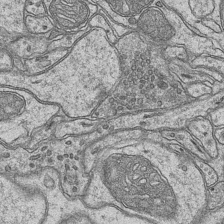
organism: Mouse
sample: CA1 Hippocampus